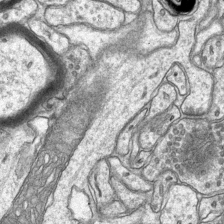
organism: Mouse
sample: CA1 Hippocampus